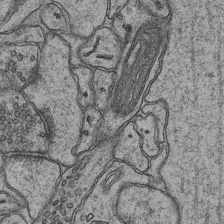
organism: Mouse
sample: CA1 Hippocampus